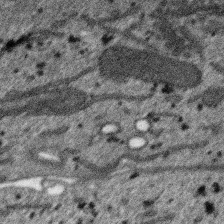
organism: Human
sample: Lung epithelial cells infected with SARS-CoV-2